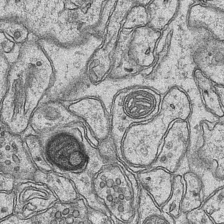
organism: Mouse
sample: CA1 Hippocampus